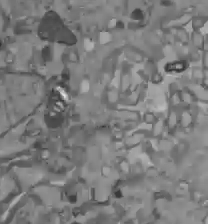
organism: C57BL Mouse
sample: Liver